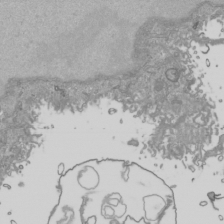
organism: Human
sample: Mitochondria in HCT116 cells